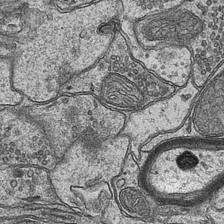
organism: Mouse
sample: CA1 Hippocampus